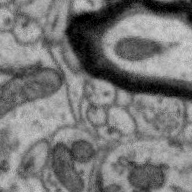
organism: Zebra finch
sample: Brain